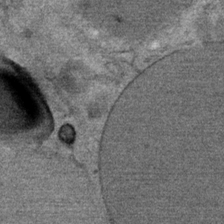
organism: Mouse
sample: Mouse Salivary gland